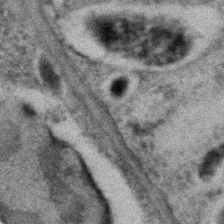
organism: C. elegans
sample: C. elegans embryo